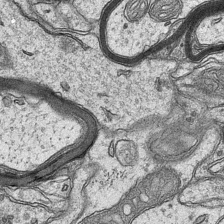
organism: Mouse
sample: CA1 Hippocampus